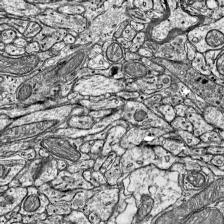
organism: Mouse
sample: Visual Cortex